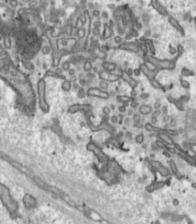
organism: Toxoplasma gondii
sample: Parasites in a vacuole inside a host cell